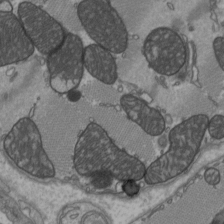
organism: C57BL Mouse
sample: Heart